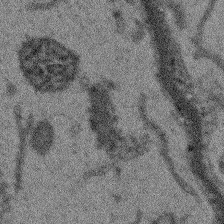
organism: Arabidopsis thaliana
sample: Root tip